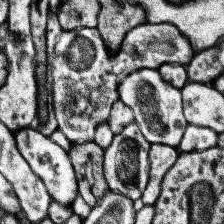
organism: Human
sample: Temporal Lobe